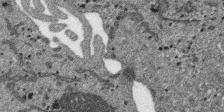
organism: Human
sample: Lung epithelial cells infected with SARS-CoV-2